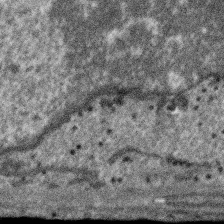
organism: Human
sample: Lung epithelial cells infected with SARS-CoV-2